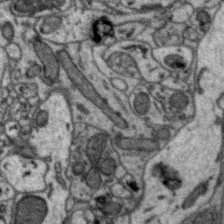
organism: Zebra finch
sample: Brain